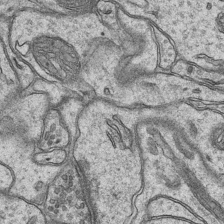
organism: Mouse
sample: CA1 Hippocampus